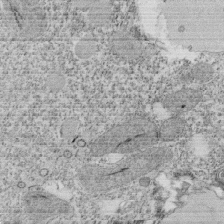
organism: Tetrahymena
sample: Cilia in tetrahymena